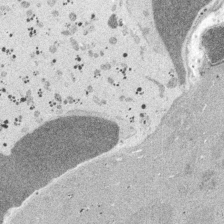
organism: Embia sp.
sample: Silk gland